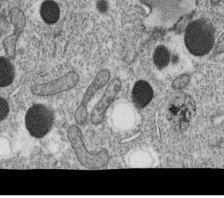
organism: C. elegans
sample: C. elegans oocyte; sperm cells